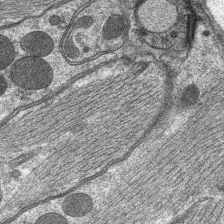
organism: C. elegans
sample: Pharynx